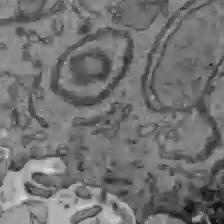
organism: C57BL Mouse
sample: Liver